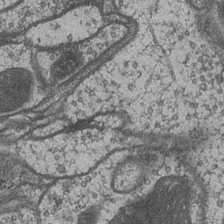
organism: Drosophila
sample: Optic medulla